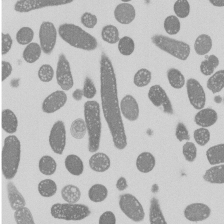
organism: E. coli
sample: Bacterial nucleoid